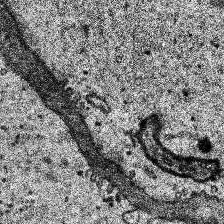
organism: Human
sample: Temporal Lobe